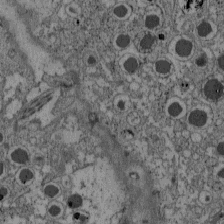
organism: C57BL Mouse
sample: Pancreatic islet